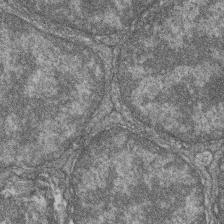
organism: Zebrafish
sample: Cilia; retinal pigment epithelium